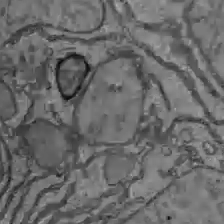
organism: C57BL Mouse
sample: Liver